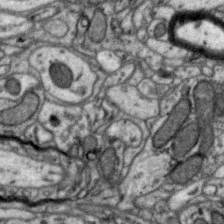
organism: Zebra finch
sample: Brain